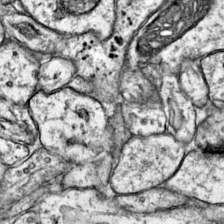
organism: Mouse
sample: Primary visual cortex